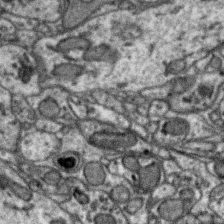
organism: Zebra finch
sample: Brain